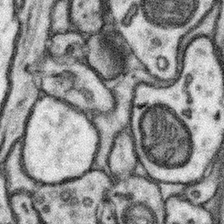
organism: Mouse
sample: Somatosensory cortex neuropil